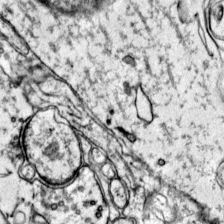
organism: Mouse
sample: Primary visual cortex